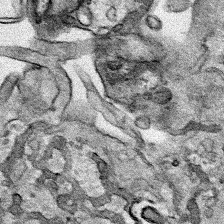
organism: Human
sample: Mitochondria in HCT116 cells